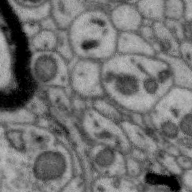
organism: Zebra finch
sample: Brain